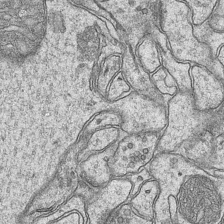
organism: Mouse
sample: CA1 Hippocampus